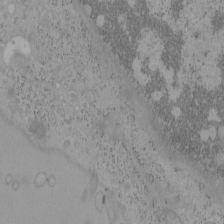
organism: Mouse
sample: OT-I killer T cells with ID8 ovarian cancer cells